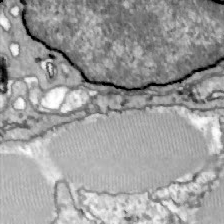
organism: Zebrafish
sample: Actinotrichia fibers